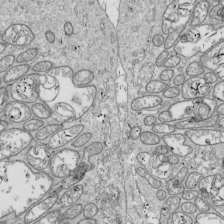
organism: Drosophila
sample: Cell division; meiosis; drosophila spermatocytes